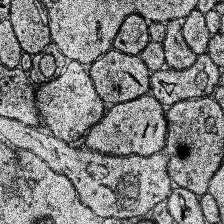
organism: Human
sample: Temporal Lobe